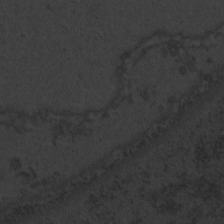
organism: Zebrafish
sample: Macrophage infected with Toxoplasma gondii